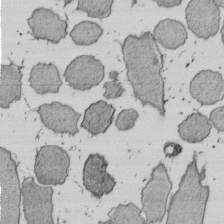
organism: E. coli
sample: Bacterial nucleoid